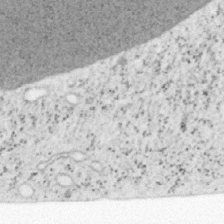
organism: Mouse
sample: OT-I killer T cells with ID8 ovarian cancer cells